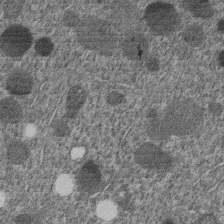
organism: C. elegans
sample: C. elegans embryo early stage